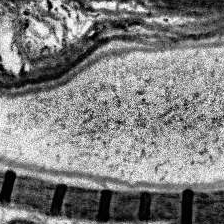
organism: Human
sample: Temporal Lobe